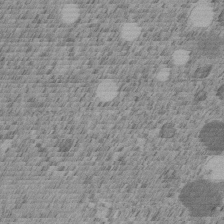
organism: C. elegans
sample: C. elegans embryo early stage